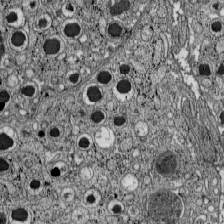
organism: C57BL Mouse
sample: Pancreatic islet